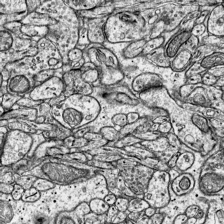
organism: Mouse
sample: Visual Cortex